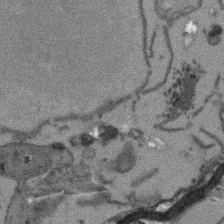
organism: Arabidopsis thaliana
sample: Root tip